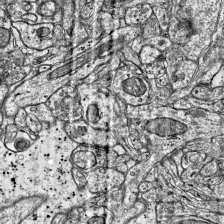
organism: Mouse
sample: Visual Cortex